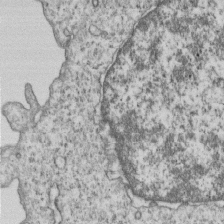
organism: Human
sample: MDA-MB-231 cells